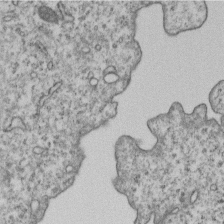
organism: Human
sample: MDA-MB-231 cells